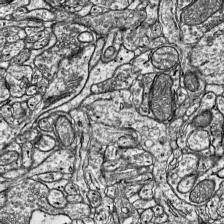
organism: Mouse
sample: Visual Cortex